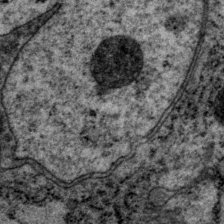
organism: P. pacificus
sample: Pharynx